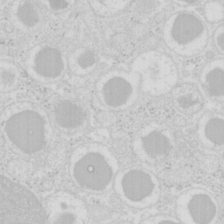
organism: Mouse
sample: Pancreas